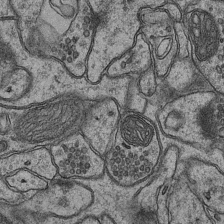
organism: Mouse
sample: CA1 Hippocampus